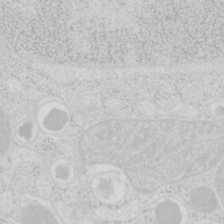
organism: Mouse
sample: Pancreas